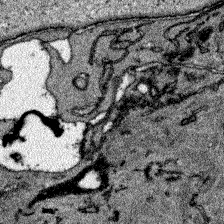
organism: Zebrafish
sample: Larval olfactory bulb